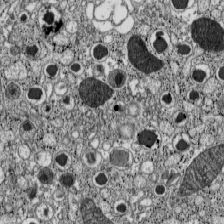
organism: C57BL Mouse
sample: Pancreatic islet